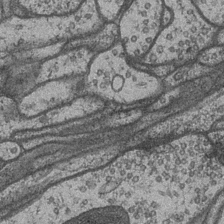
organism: Drosophila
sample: Optic medulla